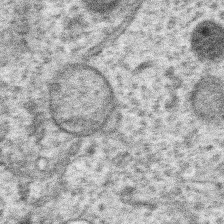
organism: Human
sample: HeLa cells